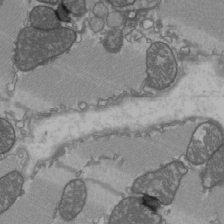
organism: C57BL Mouse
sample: Heart